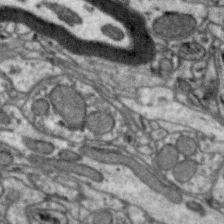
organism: Zebra finch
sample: Brain